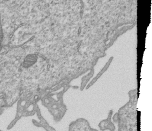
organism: Human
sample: MDA-MB-231 cells